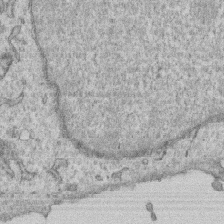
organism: Human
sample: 1205lu cells